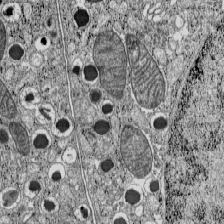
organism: C57BL Mouse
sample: Pancreatic islet